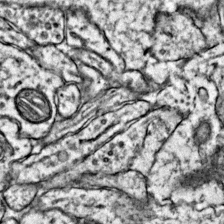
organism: Mouse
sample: Primary visual cortex